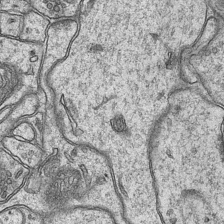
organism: Mouse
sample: CA1 Hippocampus